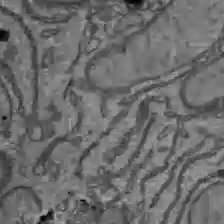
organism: C57BL Mouse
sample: Liver